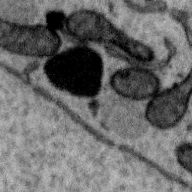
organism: Zebra finch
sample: Brain